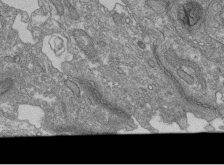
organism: Human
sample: Retinal organoid Rod and Cone cells